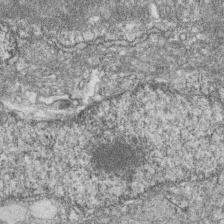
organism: Zebrafish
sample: Cilia; retinal pigment epithelium